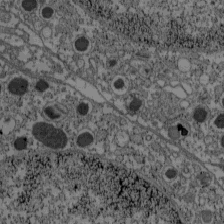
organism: C57BL Mouse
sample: Pancreatic islet